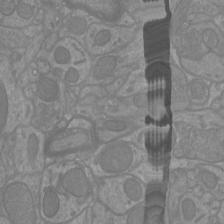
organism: Mouse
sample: Cortical neurons